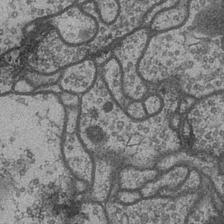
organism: Drosophila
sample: Optic medulla